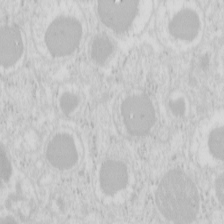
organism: Mouse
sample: Pancreas